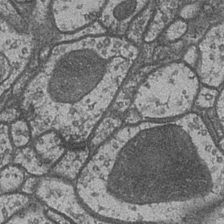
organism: Drosophila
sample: Optic medulla